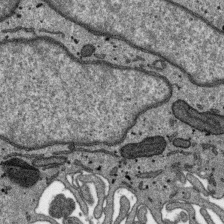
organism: Human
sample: Lung epithelial cells, uninfected (mock) control